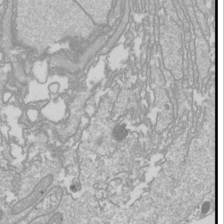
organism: Drosophila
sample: Cell division; meiosis; drosophila spermatocytes